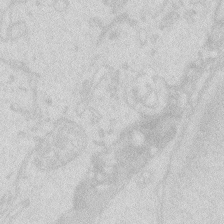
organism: Zebrafish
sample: Macrophage